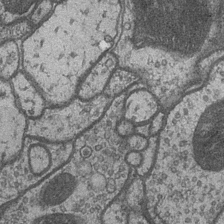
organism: Drosophila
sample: Optic medulla